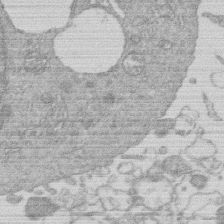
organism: Human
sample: Macrophage cells